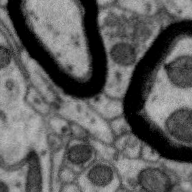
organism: Zebra finch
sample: Brain